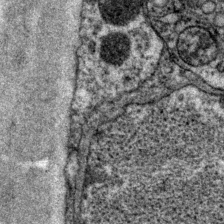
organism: P. pacificus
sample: Pharynx